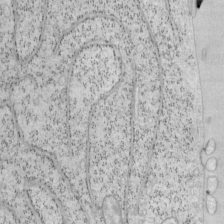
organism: Mouse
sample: OT-I killer T cells with ID8 ovarian cancer cells